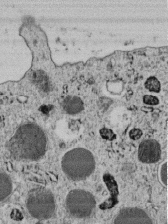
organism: C. elegans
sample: C. elegans embryo early stage